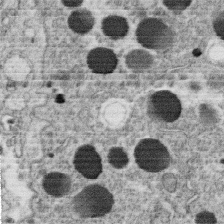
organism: C. elegans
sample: C. elegans oocyte; sperm cells